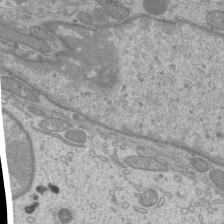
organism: Mouse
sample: Cilia; mouse epididymis